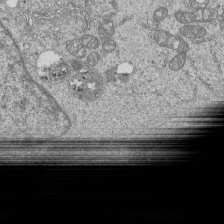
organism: Human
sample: MDA-MB-231 cells